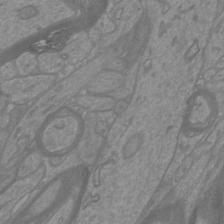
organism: Mouse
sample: Cortical neurons